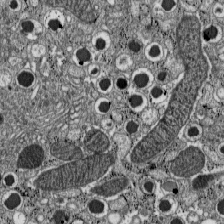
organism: C57BL Mouse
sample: Pancreatic islet